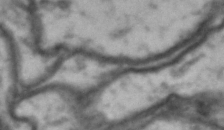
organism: Drosophila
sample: Brain